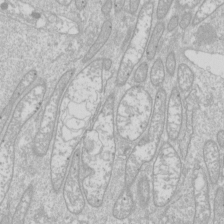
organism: Drosophila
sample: Cell division; meiosis; drosophila spermatocytes